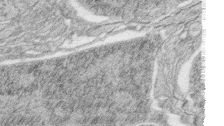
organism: Zebrafish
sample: synaptic ribbons in rod cells and cone cells